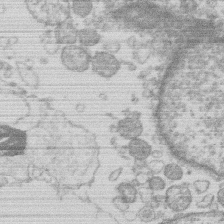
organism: Human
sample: Macrophage cells